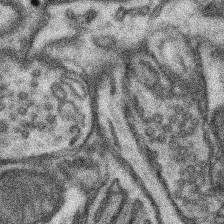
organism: Mouse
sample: Somatosensory cortex neuropil